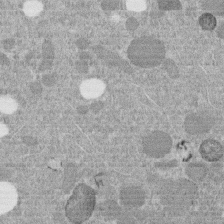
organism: C. elegans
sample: C. elegans embryo early stage